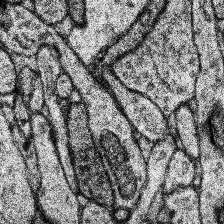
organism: Human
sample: Temporal Lobe